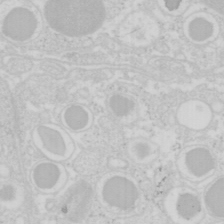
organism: Mouse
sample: Pancreas